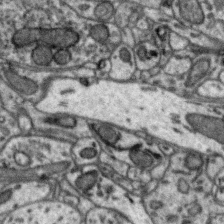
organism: Zebra finch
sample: Brain